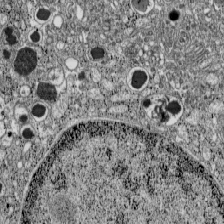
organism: C57BL Mouse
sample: Pancreatic islet